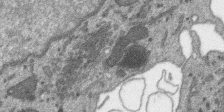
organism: Human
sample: Lung epithelial cells infected with SARS-CoV-2